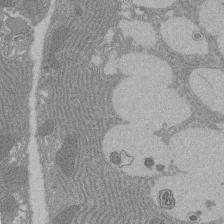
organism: Rat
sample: Salivary granule